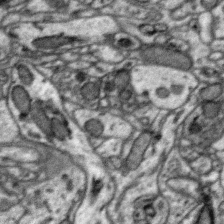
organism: Zebra finch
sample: Brain